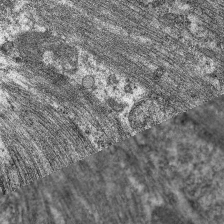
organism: C. elegans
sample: Pharynx